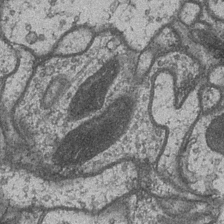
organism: Drosophila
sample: Optic medulla